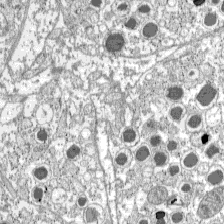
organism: C57BL Mouse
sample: Pancreatic islet